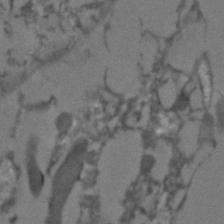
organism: C. elegans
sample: C. elegans embryo